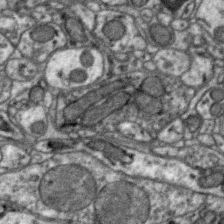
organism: Zebra finch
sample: Brain